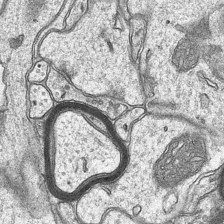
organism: Mouse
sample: CA1 Hippocampus